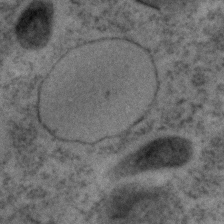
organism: C. elegans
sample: C. elegans embryo